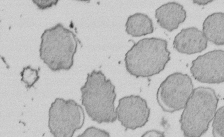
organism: E. coli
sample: Bacterial nucleoid